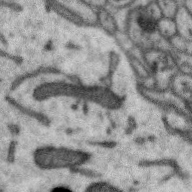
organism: Zebra finch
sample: Brain